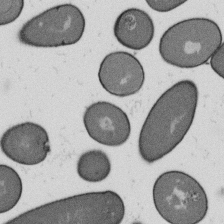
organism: B. subtilis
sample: Bacterial spore